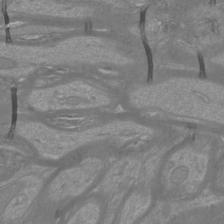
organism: Mouse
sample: Cortical neurons